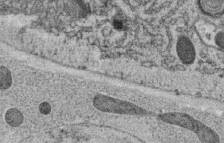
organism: C. elegans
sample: C. elegans oocyte; sperm cells